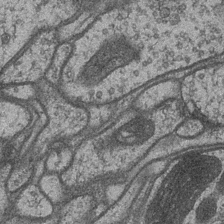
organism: Drosophila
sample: Optic medulla